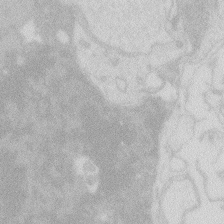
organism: Zebrafish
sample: Macrophage